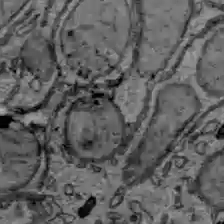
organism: C57BL Mouse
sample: Liver